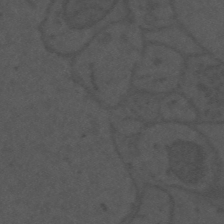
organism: Mouse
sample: Suprachiasmatic nucleus